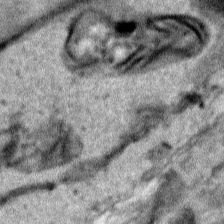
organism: Human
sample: Mitochondria in HCT116 cells